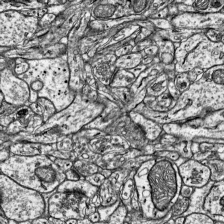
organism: Mouse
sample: Visual Cortex